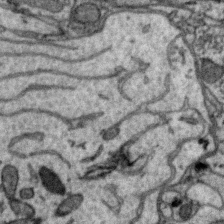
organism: Zebra finch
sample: Brain